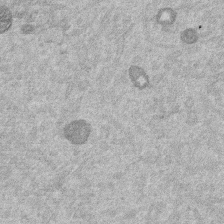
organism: Mouse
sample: Dividing mouse embryo 1 cell stage